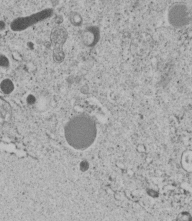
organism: C. elegans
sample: C. elegans embryo early stage